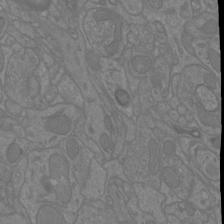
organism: Mouse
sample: Cortical neurons